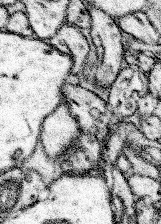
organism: Mouse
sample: Somatosensory cortex neuropil